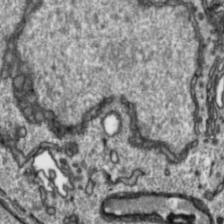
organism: Toxoplasma gondii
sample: Parasites in a vacuole inside a host cell